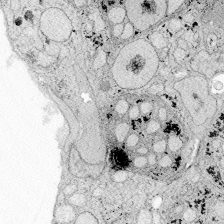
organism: Zebrafish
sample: Whole-Brain